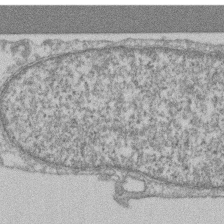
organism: Mouse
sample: T cell stromal cell synapse